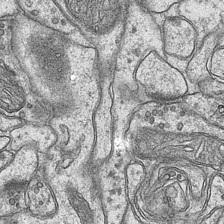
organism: Mouse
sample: CA1 Hippocampus